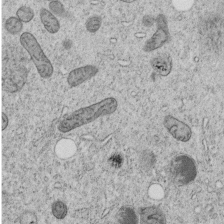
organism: C. elegans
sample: C. elegans embryo early stage